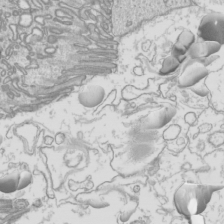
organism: Mouse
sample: Cilia; mouse epididymis